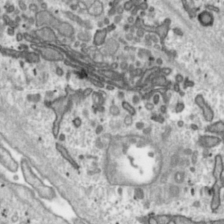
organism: Toxoplasma gondii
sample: Parasites in a vacuole inside a host cell